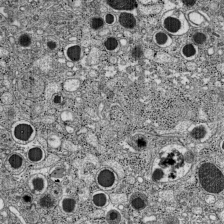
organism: C57BL Mouse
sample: Pancreatic islet